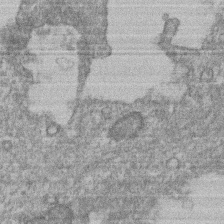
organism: Mouse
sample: T cell stromal cell synapse